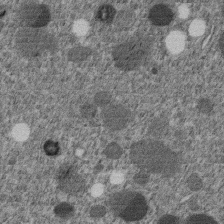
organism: C. elegans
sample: C. elegans embryo early stage